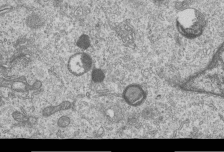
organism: Human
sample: MDA-MB-231 cells